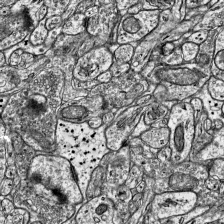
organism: Mouse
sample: Visual Cortex